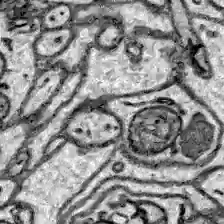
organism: Zebrafish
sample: Brain